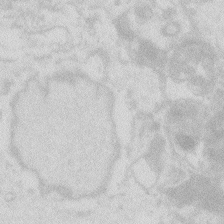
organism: Zebrafish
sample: Macrophage